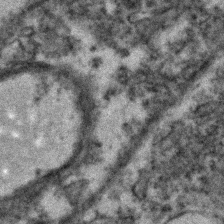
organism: Zebrafish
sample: Zebrafish embryo